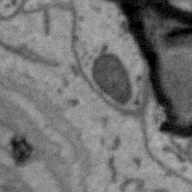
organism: Zebra finch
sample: Brain